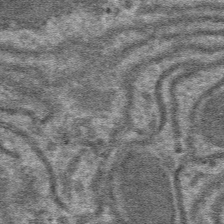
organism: Mouse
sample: Mouse hepatocytes